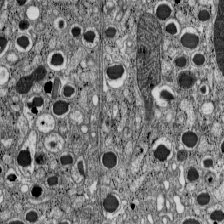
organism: C57BL Mouse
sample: Pancreatic islet